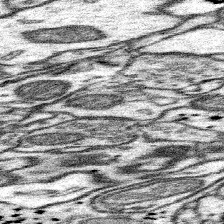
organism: Mouse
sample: Somatosensory cortex neuropil